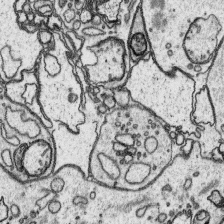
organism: Platynereis dumerilii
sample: Parapodia